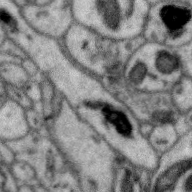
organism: Zebra finch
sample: Brain